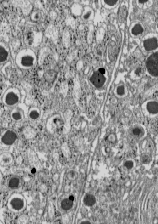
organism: C57BL Mouse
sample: Pancreatic islet